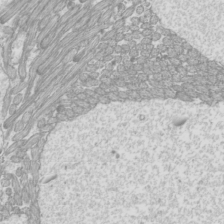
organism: Mouse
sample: Cilia; mouse epididymis